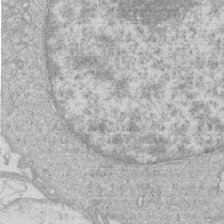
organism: Human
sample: Macrophage cells